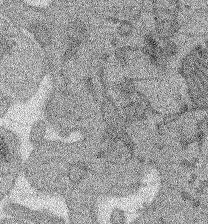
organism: Human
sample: HeLa cells